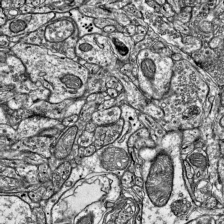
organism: Mouse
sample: Visual Cortex